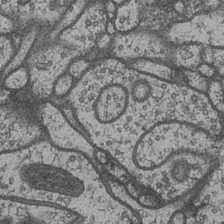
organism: Drosophila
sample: Optic medulla